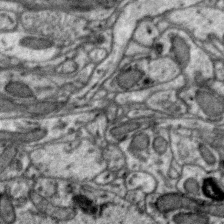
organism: Zebra finch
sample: Brain